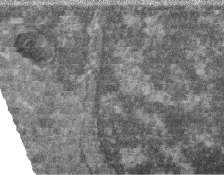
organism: Zebrafish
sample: Cilia; retinal pigment epithelium